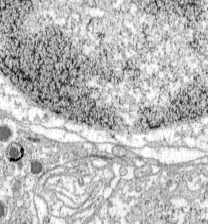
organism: C57BL Mouse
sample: Pancreatic islet